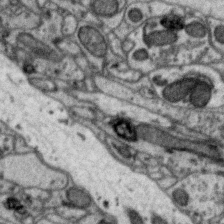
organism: Zebra finch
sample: Brain